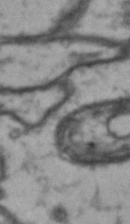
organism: Drosophila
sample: Brain